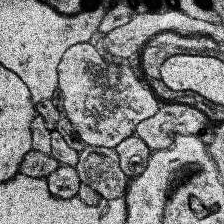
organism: Human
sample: Temporal Lobe